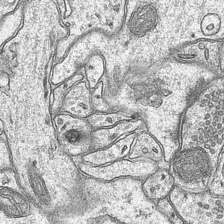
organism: Mouse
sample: CA1 Hippocampus